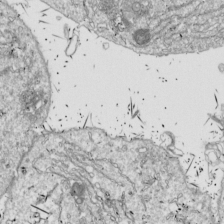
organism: Drosophila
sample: Cell division; meiosis; drosophila spermatocytes